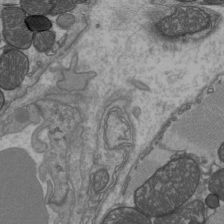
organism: C57BL Mouse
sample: Heart